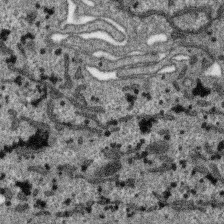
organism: Human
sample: Lung epithelial cells infected with SARS-CoV-2